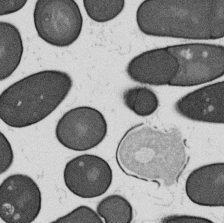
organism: B. subtilis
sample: Bacterial spore